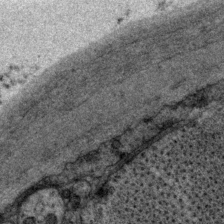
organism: P. pacificus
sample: Pharynx